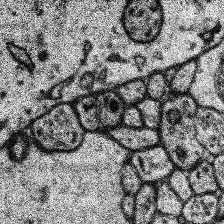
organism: Human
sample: Temporal Lobe